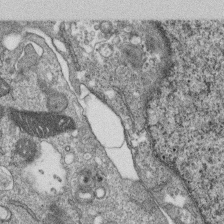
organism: African green monkey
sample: Vero E6 cells infected with SARS-CoV-2